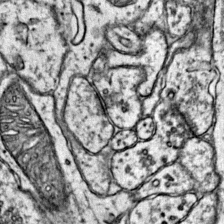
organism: Mouse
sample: Primary visual cortex